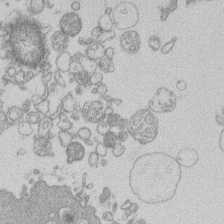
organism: Human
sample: Macrophage cells